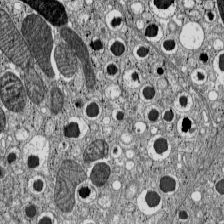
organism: C57BL Mouse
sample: Pancreatic islet